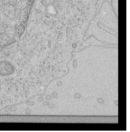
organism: Human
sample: Mitochondria in HCT116 cells